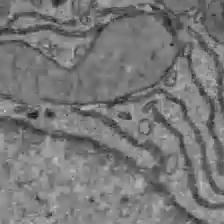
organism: C57BL Mouse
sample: Liver